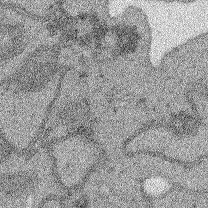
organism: Human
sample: HeLa cells